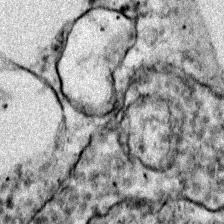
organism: Zebrafish